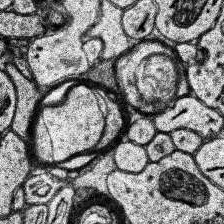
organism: Human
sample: Temporal Lobe